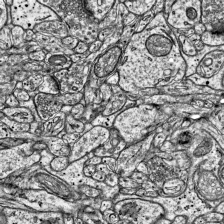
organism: Mouse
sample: Visual Cortex